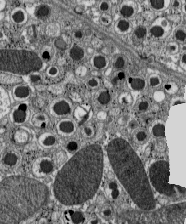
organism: C57BL Mouse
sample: Pancreatic islet